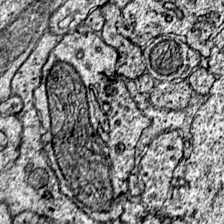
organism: Mouse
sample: Primary visual cortex